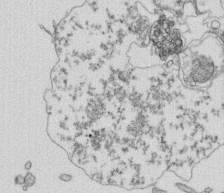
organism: Human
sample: HeLa cell HIV synapse